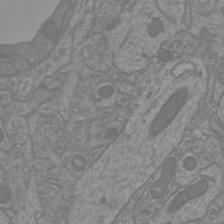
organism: Mouse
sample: Cortical neurons